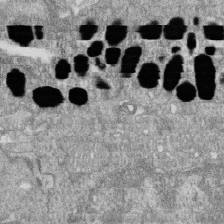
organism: Zebrafish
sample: Cilia; retinal pigment epithelium